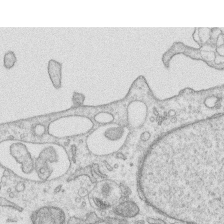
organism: Human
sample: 1205lu cells